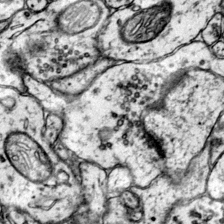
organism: Mouse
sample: Primary visual cortex